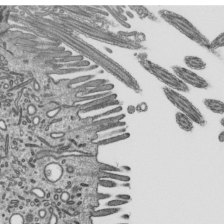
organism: Mouse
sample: Mouse epididymis efferent ductule cilia